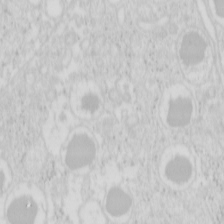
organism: Mouse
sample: Pancreas